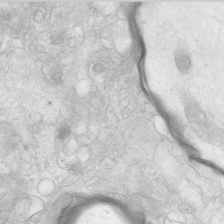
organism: Human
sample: Neocortex